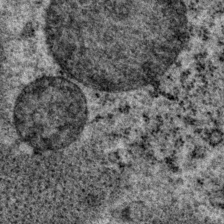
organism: P. pacificus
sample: Pharynx